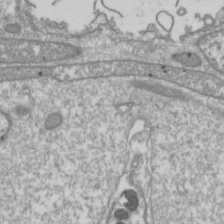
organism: Drosophila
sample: Cell division; meiosis; drosophila spermatocytes